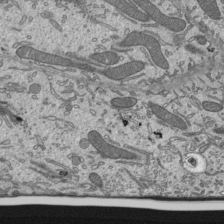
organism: Mouse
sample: Mouse epididymis efferent ductule cilia